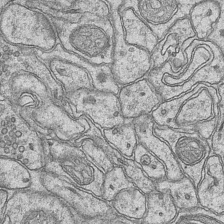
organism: Mouse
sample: CA1 Hippocampus